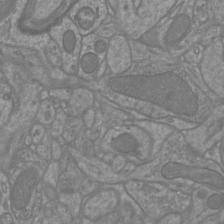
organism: Mouse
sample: Cortical neurons